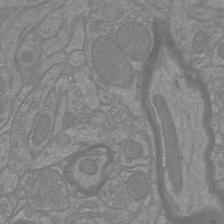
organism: Mouse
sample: Cortical neurons